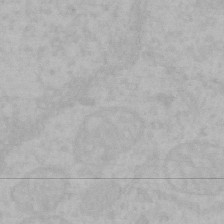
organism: Mouse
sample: Choroid plexus